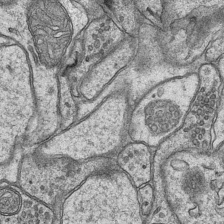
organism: Mouse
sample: CA1 Hippocampus